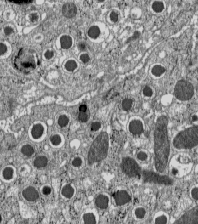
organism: C57BL Mouse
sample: Pancreatic islet